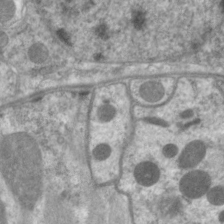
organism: C. elegans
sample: Pharynx